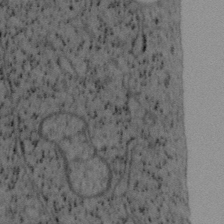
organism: Human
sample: HeLa cells